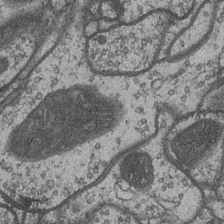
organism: Drosophila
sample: Optic medulla